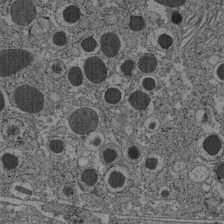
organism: C57BL Mouse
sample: Pancreatic islet